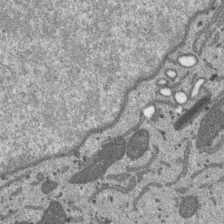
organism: Human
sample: Lung epithelial cells infected with SARS-CoV-2